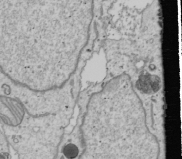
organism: Human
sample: Mitochondria in U2OS cells